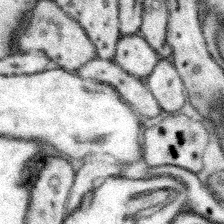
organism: Mouse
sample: Somatosensory cortex neuropil